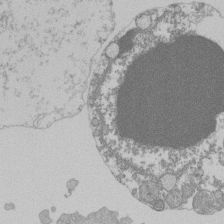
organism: Mouse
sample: Activated Pmel transgenic CD8+ T Cells